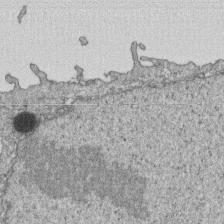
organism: Human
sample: HeLa cell HIV synapse